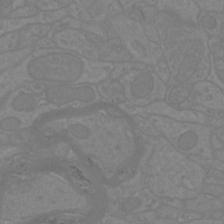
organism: Mouse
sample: Cortical neurons